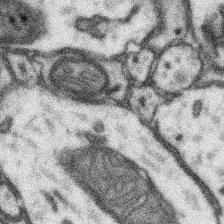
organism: Mouse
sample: Somatosensory cortex neuropil